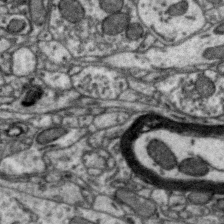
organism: Zebra finch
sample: Brain